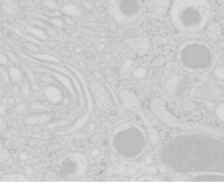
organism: Mouse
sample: Pancreas